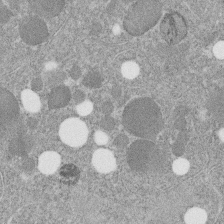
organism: C. elegans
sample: C. elegans embryo early stage